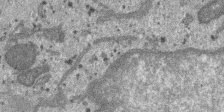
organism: Human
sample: Lung epithelial cells infected with SARS-CoV-2